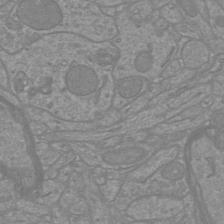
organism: Mouse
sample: Cortical neurons